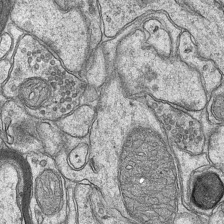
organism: Mouse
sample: CA1 Hippocampus